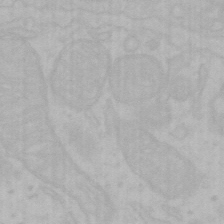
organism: Mouse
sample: Choroid plexus